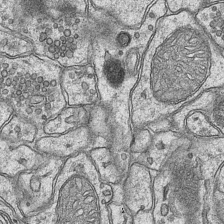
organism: Mouse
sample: CA1 Hippocampus